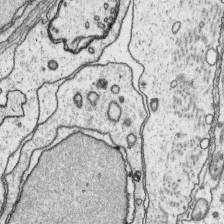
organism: Platynereis dumerilii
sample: Parapodia